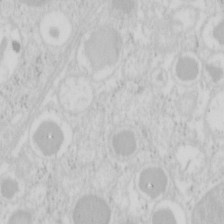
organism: Mouse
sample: Pancreas